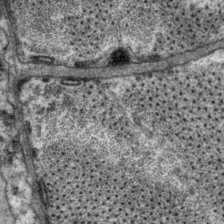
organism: P. pacificus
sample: Pharynx